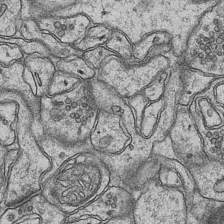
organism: Mouse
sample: CA1 Hippocampus